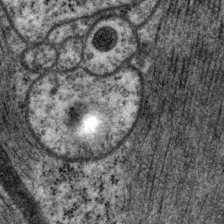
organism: P. pacificus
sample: Pharynx